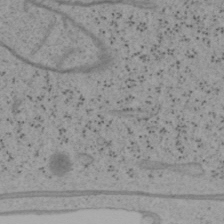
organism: Human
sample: HeLa cells